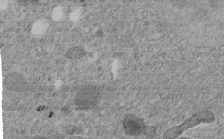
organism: C. elegans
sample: C. elegans embryo early stage